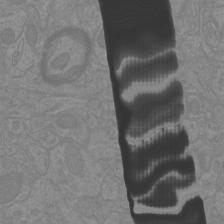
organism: Mouse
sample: Cortical neurons